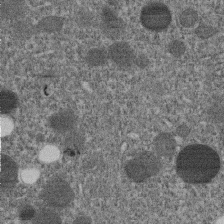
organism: C. elegans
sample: C. elegans embryo early stage